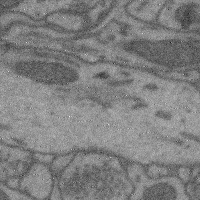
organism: Mouse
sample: Cerebral cortex